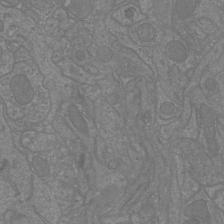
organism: Mouse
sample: Cortical neurons